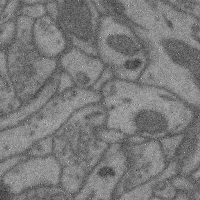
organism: Mouse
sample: Cerebral cortex